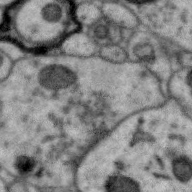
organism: Zebra finch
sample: Brain